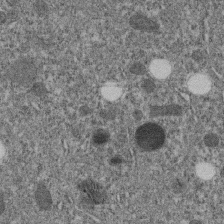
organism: C. elegans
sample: C. elegans embryo early stage